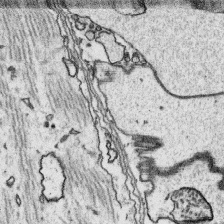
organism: Platynereis dumerilii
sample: Parapodia